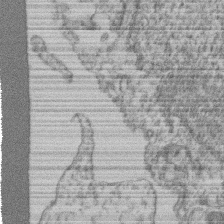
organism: Mouse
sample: T cell stromal cell synapse